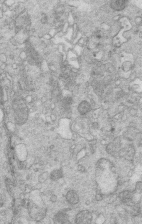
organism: Mouse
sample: Multiciliated cells